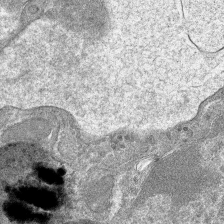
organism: Mouse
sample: Mouse hepatocytes